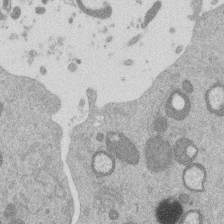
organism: Mouse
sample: Dividing mouse embryo 1 cell stage